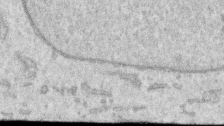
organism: Human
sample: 1205lu cells